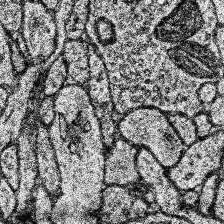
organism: Human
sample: Temporal Lobe